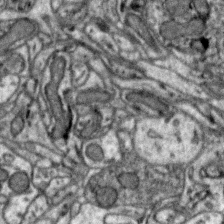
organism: Zebra finch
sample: Brain